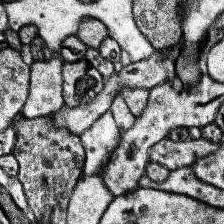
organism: Human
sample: Temporal Lobe